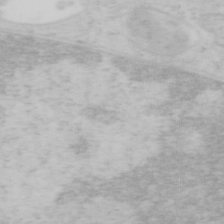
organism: Mouse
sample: OT-I killer T cells with ID8 ovarian cancer cells